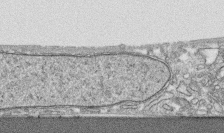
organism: Human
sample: CRL-1474